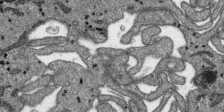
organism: Human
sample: Lung epithelial cells, uninfected (mock) control